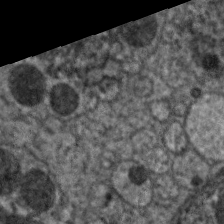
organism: C. elegans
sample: Pharynx